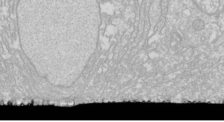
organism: Drosophila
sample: Cell division; meiosis; drosophila spermatocytes